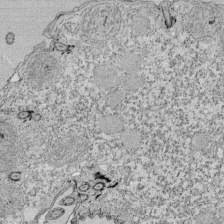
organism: Tetrahymena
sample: Cilia in tetrahymena